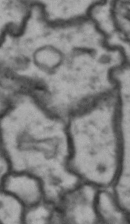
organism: Drosophila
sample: Brain